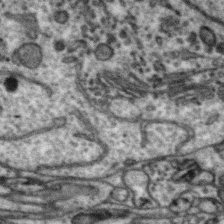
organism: Zebra finch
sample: Brain